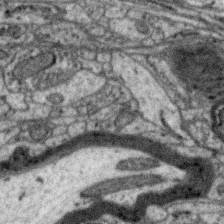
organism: Zebra finch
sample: Brain